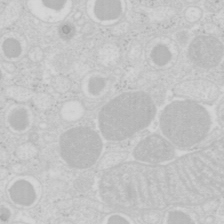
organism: Mouse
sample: Pancreas